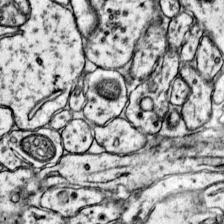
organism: Mouse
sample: Primary visual cortex